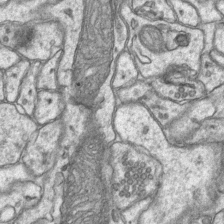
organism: Mouse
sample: CA1 Hippocampus